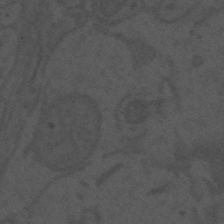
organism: Mouse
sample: Suprachiasmatic nucleus